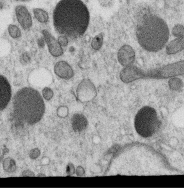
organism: C. elegans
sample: C. elegans oocyte; sperm cells